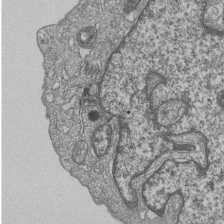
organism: Human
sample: MDA-MB-231 cells